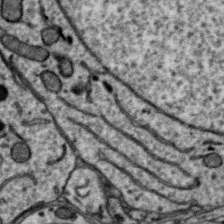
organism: Zebra finch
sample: Brain